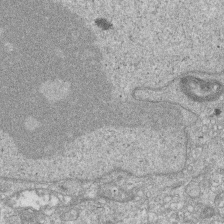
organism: Human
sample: HeLa cell HIV synapse